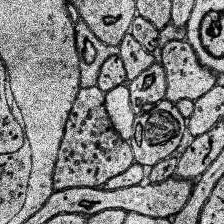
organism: Human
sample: Temporal Lobe